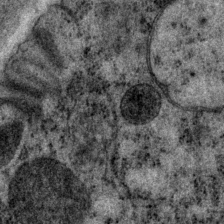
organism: P. pacificus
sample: Pharynx